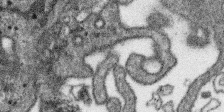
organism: Human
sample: Lung epithelial cells infected with SARS-CoV-2